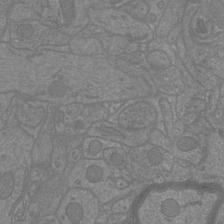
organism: Mouse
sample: Cortical neurons